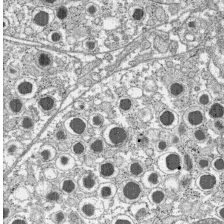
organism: C57BL Mouse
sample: Pancreatic islet